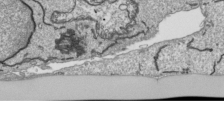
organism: Human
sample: Mitochondria in HCT116 cells